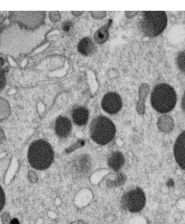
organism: C. elegans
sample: C. elegans oocyte; sperm cells